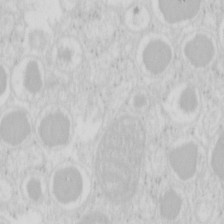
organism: Mouse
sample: Pancreas